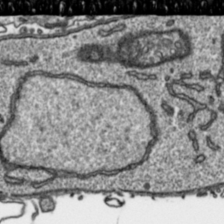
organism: Toxoplasma gondii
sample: Parasites in a vacuole inside a host cell